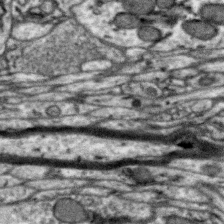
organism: Zebra finch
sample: Brain